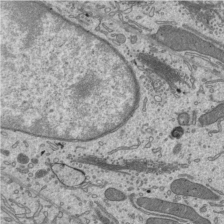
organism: Mouse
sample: Mouse epididymis efferent ductule cilia